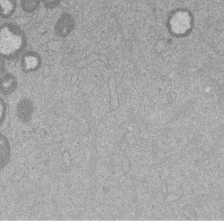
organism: Mouse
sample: Dividing mouse embryo 1 cell stage